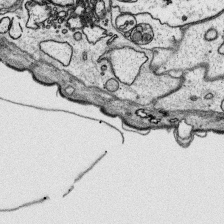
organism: Platynereis dumerilii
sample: Parapodia